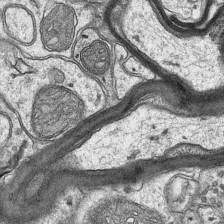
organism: Mouse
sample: CA1 Hippocampus